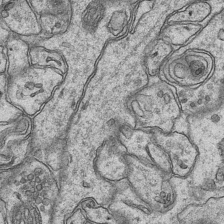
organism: Mouse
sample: CA1 Hippocampus